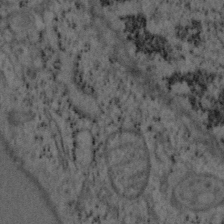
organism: Human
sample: HeLa cells